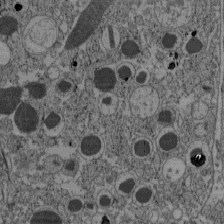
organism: C57BL Mouse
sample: Pancreatic islet